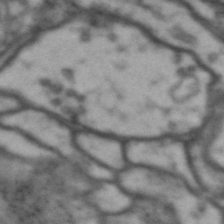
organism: Drosophila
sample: Brain